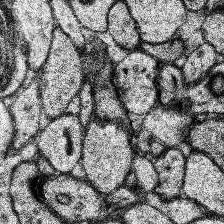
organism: Human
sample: Temporal Lobe